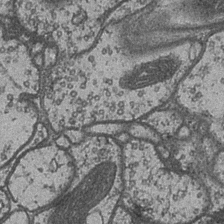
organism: Drosophila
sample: Optic medulla